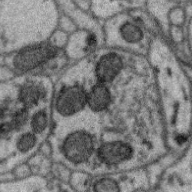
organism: Zebra finch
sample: Brain